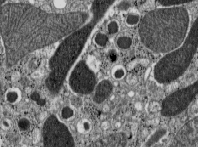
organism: C57BL Mouse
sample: Pancreatic islet